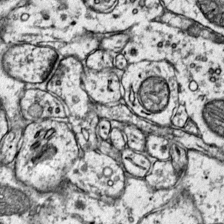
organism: Mouse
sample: Primary visual cortex